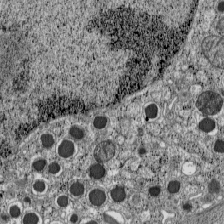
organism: C57BL Mouse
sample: Pancreatic islet